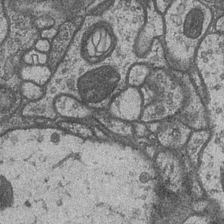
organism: Drosophila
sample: Optic medulla